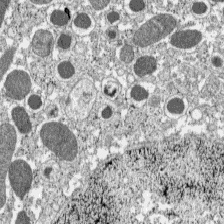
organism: C57BL Mouse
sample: Pancreatic islet